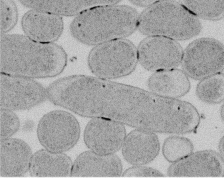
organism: E. coli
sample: Bacterial nucleoid